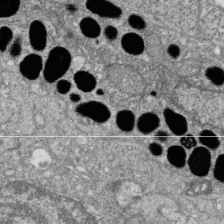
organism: Zebrafish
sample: Cilia; retinal pigment epithelium